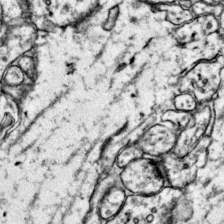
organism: Mouse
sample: Primary visual cortex